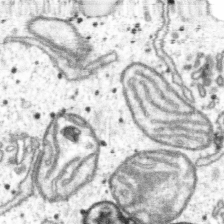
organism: Human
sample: HeLa cells